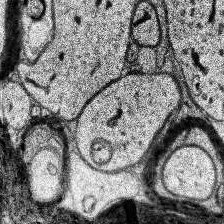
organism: Human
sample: Temporal Lobe